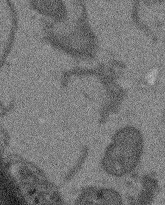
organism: Arabidopsis thaliana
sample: Root tip